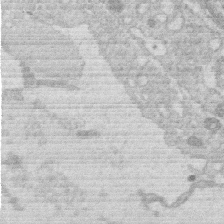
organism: Human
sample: Macrophage cells